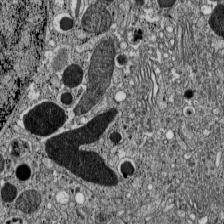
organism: C57BL Mouse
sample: Pancreatic islet